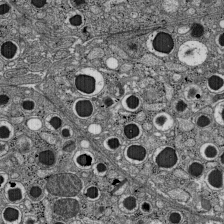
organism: C57BL Mouse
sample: Pancreatic islet